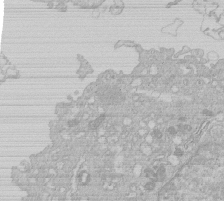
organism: Human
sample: Macrophage cells